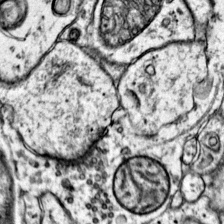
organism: Mouse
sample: Primary visual cortex